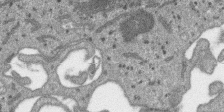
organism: Human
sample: Lung epithelial cells infected with SARS-CoV-2